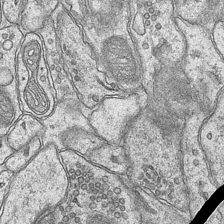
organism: Mouse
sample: CA1 Hippocampus